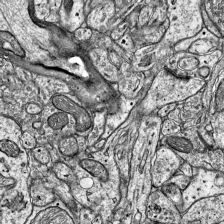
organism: Mouse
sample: Visual Cortex